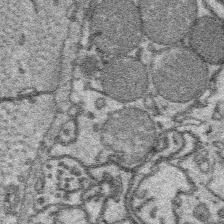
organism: Platynereis dumerilii